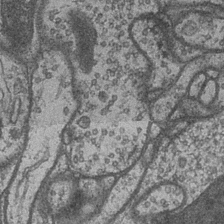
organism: Drosophila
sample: Optic medulla